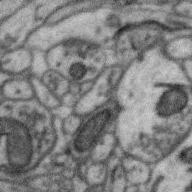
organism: Zebra finch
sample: Brain